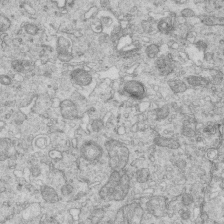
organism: Mouse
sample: Multiciliated cells